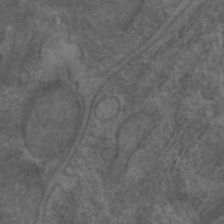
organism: C. elegans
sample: C. elegans embryo